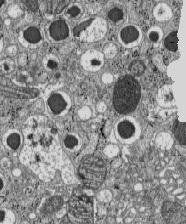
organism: C57BL Mouse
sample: Pancreatic islet